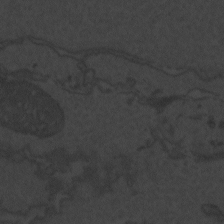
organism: Zebrafish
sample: Macrophage infected with Toxoplasma gondii